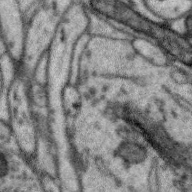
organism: Zebra finch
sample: Brain